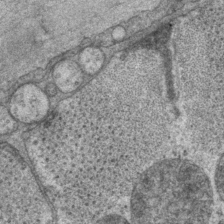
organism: P. pacificus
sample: Pharynx